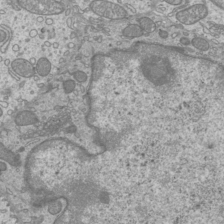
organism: Mouse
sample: Cilia; mouse epididymis